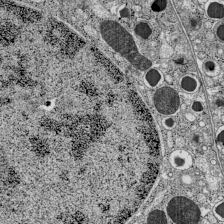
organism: C57BL Mouse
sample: Pancreatic islet